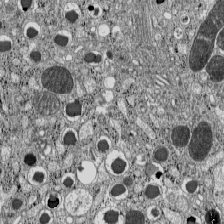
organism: C57BL Mouse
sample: Pancreatic islet